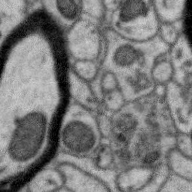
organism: Zebra finch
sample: Brain